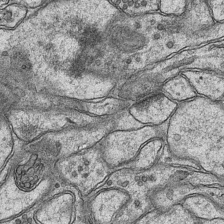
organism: Mouse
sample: CA1 Hippocampus